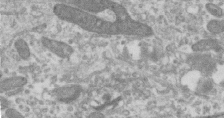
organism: Human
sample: Centriole in RPE cells